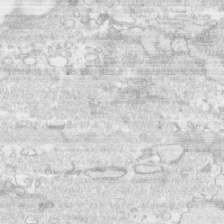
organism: Human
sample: CRL-1474